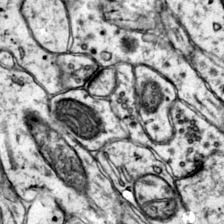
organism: Mouse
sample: Primary visual cortex